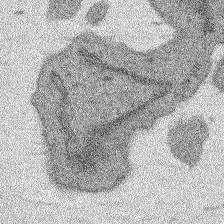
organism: Human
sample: HeLa cells